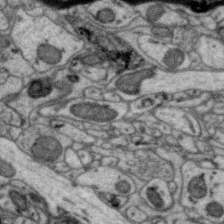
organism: Zebra finch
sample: Brain